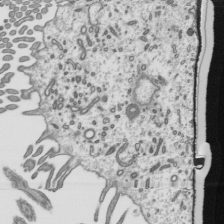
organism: Mouse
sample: Mouse epididymis efferent ductule cilia